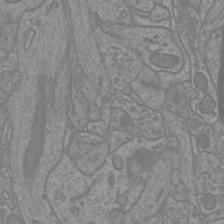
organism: Mouse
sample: Cortical neurons